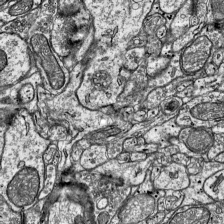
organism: Mouse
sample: Visual Cortex